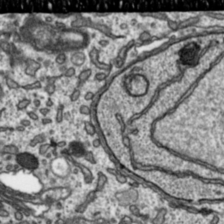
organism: Toxoplasma gondii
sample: Parasites in a vacuole inside a host cell